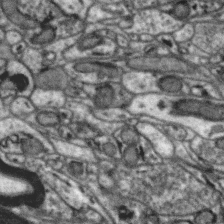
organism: Zebra finch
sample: Brain